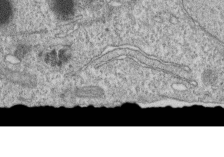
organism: Human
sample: HeLa cell HIV synapse